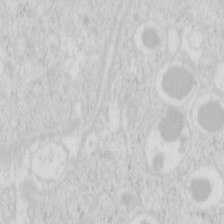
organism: Mouse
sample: Pancreas